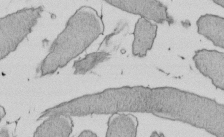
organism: E. coli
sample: Bacterial nucleoid